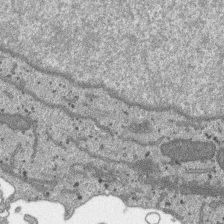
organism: Human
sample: Lung epithelial cells infected with SARS-CoV-2